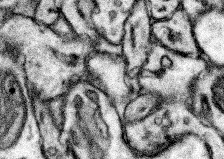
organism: Mouse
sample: Somatosensory cortex neuropil